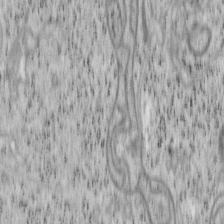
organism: Human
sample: HeLa cells